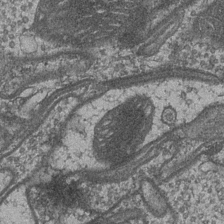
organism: Drosophila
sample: Optic medulla